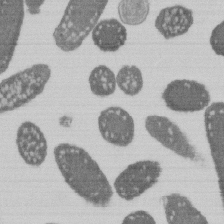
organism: E. coli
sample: Bacterial nucleoid